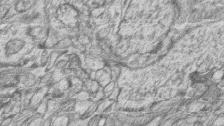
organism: Zebrafish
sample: synaptic ribbons in rod cells and cone cells